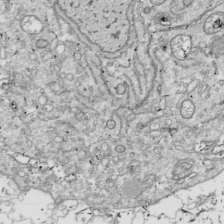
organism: Drosophila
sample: Cell division; meiosis; drosophila spermatocytes